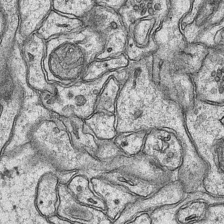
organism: Mouse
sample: CA1 Hippocampus